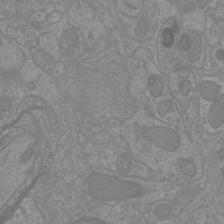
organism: Mouse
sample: Cortical neurons